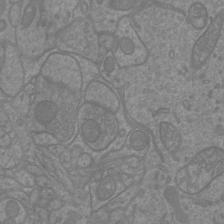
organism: Mouse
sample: Cortical neurons